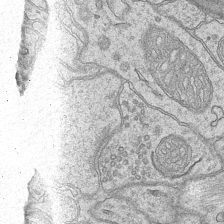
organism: Mouse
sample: CA1 Hippocampus